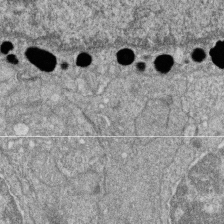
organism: Zebrafish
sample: Cilia; retinal pigment epithelium